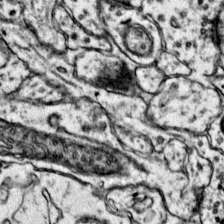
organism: Mouse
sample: Primary visual cortex